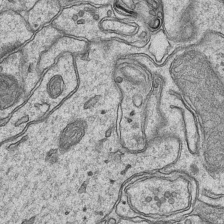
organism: Mouse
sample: CA1 Hippocampus